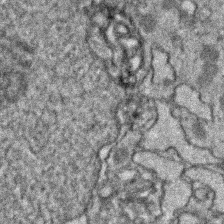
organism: Zebrafish